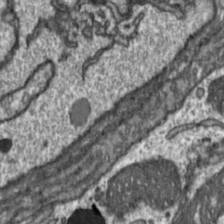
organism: Toxoplasma gondii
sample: Parasites in a vacuole inside a host cell